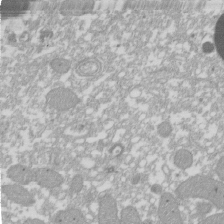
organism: Xenopus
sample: Cilia; centrioles in frog embryo cells